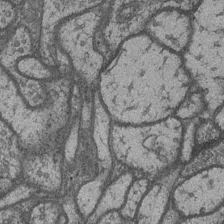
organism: Drosophila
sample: Optic medulla